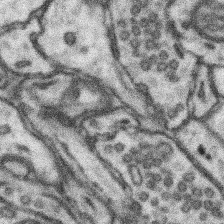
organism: Mouse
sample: Somatosensory cortex neuropil